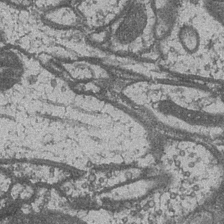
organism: Drosophila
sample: Optic medulla